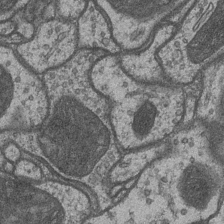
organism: Drosophila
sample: Optic medulla